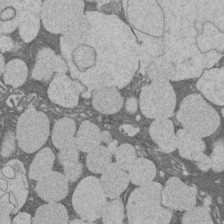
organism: Rat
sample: Salivary granule